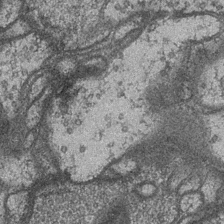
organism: Drosophila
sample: Optic medulla